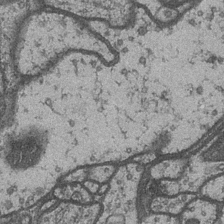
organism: Drosophila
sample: Optic medulla